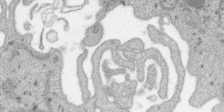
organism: Human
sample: Lung epithelial cells infected with SARS-CoV-2